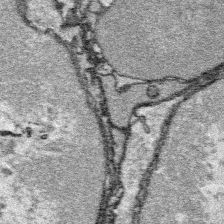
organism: Platynereis dumerilii